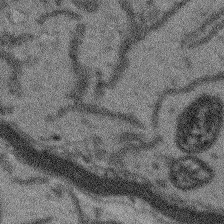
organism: Arabidopsis thaliana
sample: Root tip